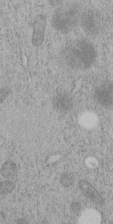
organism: C. elegans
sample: C. elegans embryo early stage